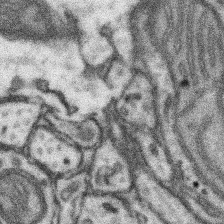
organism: Mouse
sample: Somatosensory cortex neuropil